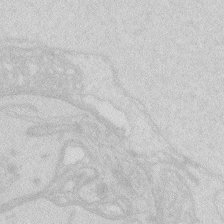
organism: Zebrafish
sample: Macrophage